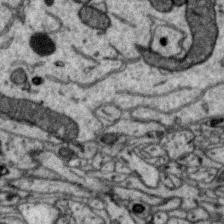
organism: Zebra finch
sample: Brain